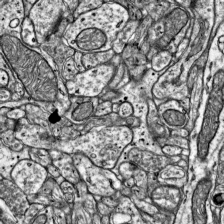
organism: Mouse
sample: Visual Cortex